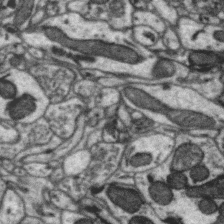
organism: Zebra finch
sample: Brain